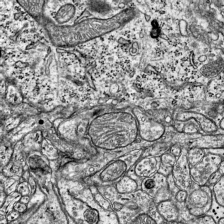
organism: Mouse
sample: Visual Cortex